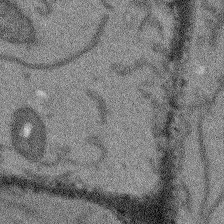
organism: Arabidopsis thaliana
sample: Root tip